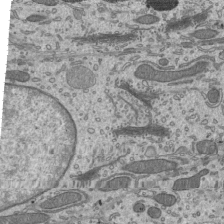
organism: Mouse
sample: Mouse epididymis efferent ductule cilia